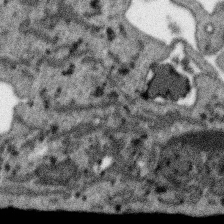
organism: Human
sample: Lung epithelial cells infected with SARS-CoV-2